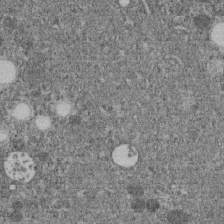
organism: C. elegans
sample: C. elegans embryo early stage